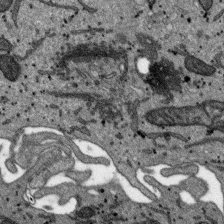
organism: Human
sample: Lung epithelial cells, uninfected (mock) control